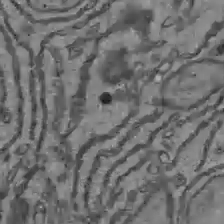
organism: C57BL Mouse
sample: Liver